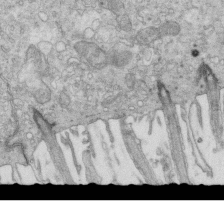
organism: Mouse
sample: Multiciliated cells